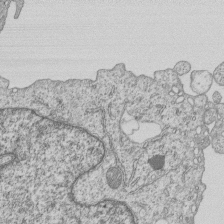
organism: Human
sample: MDA-MB-231 cells